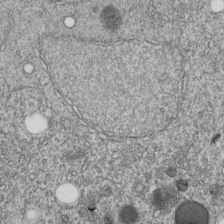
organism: C. elegans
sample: C. elegans embryo early stage